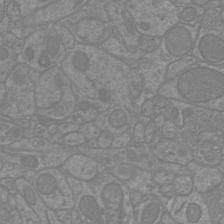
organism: Mouse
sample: Cortical neurons